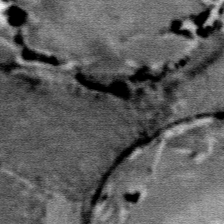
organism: Mouse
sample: Mouse Salivary gland